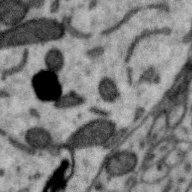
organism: Zebra finch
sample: Brain